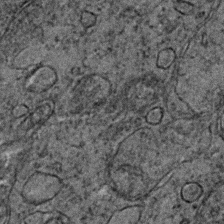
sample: Trachea